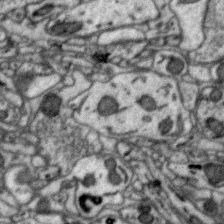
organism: Zebra finch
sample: Brain